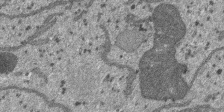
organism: Human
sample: Lung epithelial cells infected with SARS-CoV-2